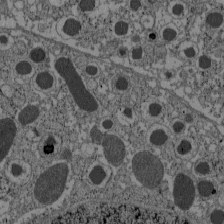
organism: C57BL Mouse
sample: Pancreatic islet